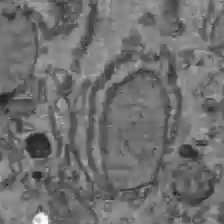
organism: C57BL Mouse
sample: Liver